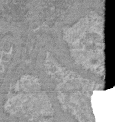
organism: Mouse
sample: Glomerulus